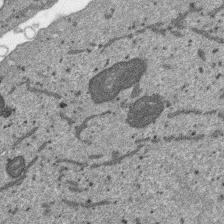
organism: Human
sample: Lung epithelial cells infected with SARS-CoV-2